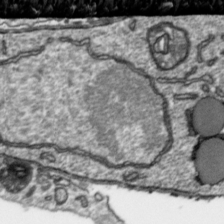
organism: Toxoplasma gondii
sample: Parasites in a vacuole inside a host cell